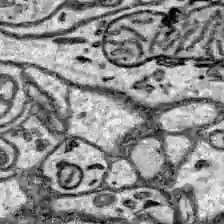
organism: Zebrafish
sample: Brain